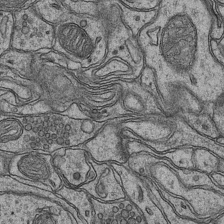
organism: Mouse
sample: CA1 Hippocampus